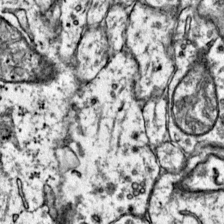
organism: Mouse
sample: Primary visual cortex